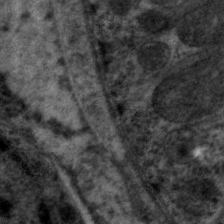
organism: C. elegans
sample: Pharynx